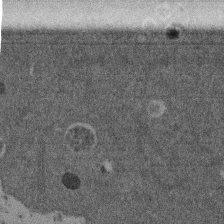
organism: Mouse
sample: Dividing mouse embryo 1 cell stage